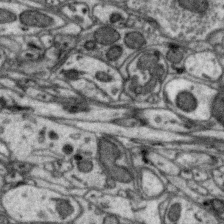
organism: Zebra finch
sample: Brain